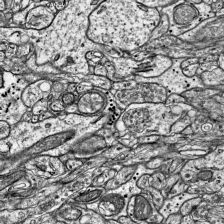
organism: Mouse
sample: Visual Cortex